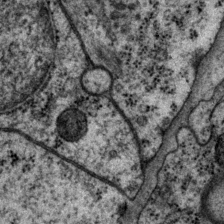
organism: P. pacificus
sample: Pharynx